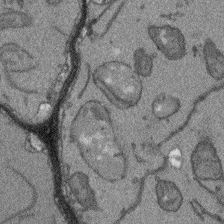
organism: Arabidopsis thaliana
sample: Root tip